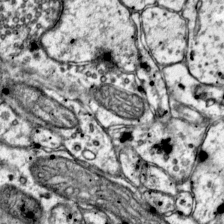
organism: Mouse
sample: Primary visual cortex